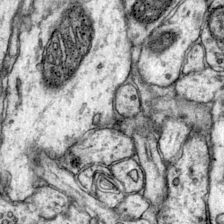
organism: Mouse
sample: Primary visual cortex